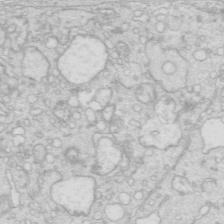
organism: Mouse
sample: Multiciliated cells